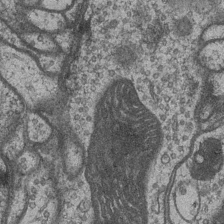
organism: Drosophila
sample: Optic medulla